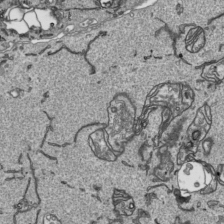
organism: Human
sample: Mitochondria in HCT116 cells